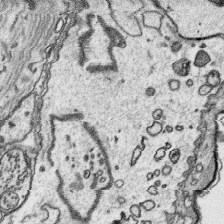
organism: Platynereis dumerilii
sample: Parapodia